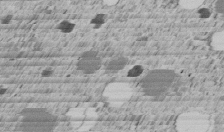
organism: C. elegans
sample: C. elegans embryo early stage